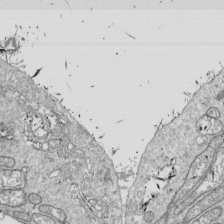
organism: Drosophila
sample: Cell division; meiosis; drosophila spermatocytes